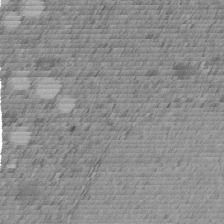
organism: C. elegans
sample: C. elegans embryo early stage